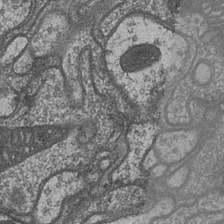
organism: Drosophila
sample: Optic medulla